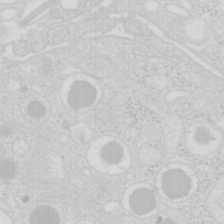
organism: Mouse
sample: Pancreas